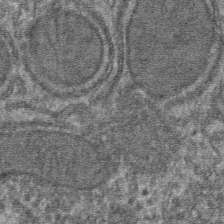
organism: Mouse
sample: Mouse hepatocytes